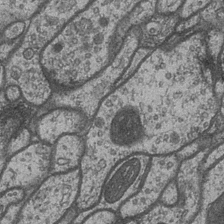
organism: Drosophila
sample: Optic medulla